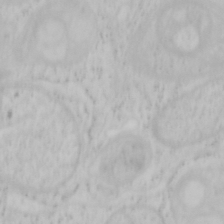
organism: Mouse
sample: OT-I killer T cells with ID8 ovarian cancer cells